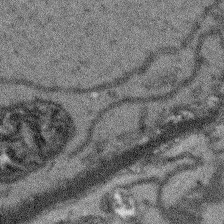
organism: Arabidopsis thaliana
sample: Root tip